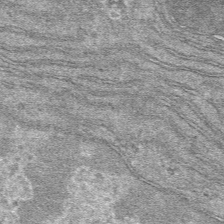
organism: Mouse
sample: Mouse hepatocytes